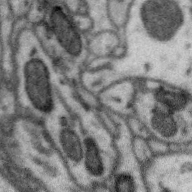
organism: Zebra finch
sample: Brain